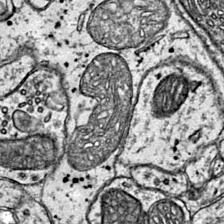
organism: Mouse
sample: Primary visual cortex